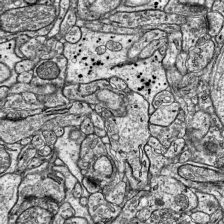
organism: Mouse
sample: Visual Cortex